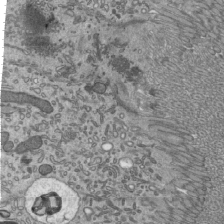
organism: Mouse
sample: Mouse epididymis efferent ductule cilia